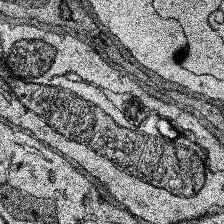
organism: Human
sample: Temporal Lobe